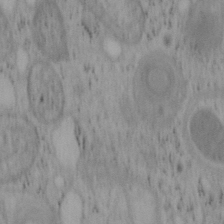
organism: Mouse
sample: OT-I killer T cells with ID8 ovarian cancer cells